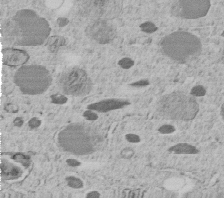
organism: C. elegans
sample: C. elegans embryo early stage